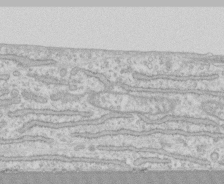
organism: Human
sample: CRL-1474